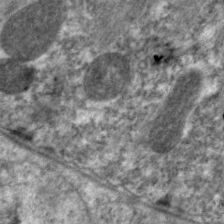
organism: C. elegans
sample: Pharynx